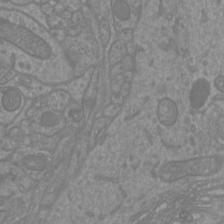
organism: Mouse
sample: Cortical neurons